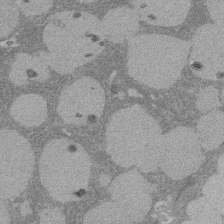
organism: Rat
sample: Salivary granule